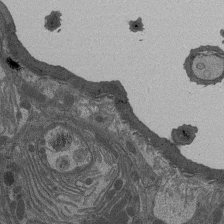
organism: Drosophila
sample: Antenna